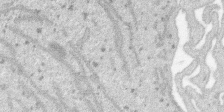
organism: Human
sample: Lung epithelial cells infected with SARS-CoV-2